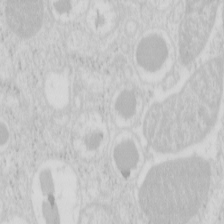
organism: Mouse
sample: Pancreas